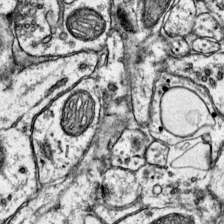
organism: Mouse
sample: Primary visual cortex